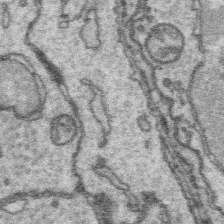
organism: Platynereis dumerilii